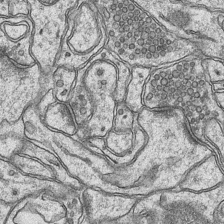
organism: Mouse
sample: CA1 Hippocampus